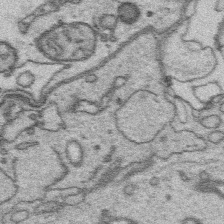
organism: Platynereis dumerilii